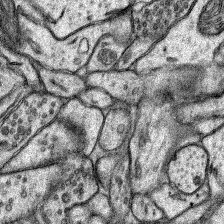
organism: Rat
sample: Hippocampus